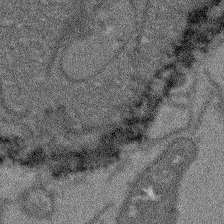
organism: Arabidopsis thaliana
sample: Root tip